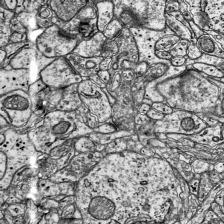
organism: Mouse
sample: Visual Cortex